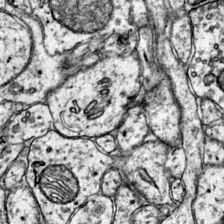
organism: Mouse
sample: Primary visual cortex